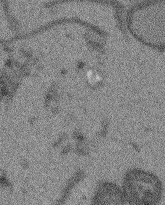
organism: Arabidopsis thaliana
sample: Root tip